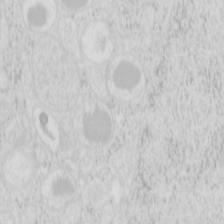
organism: Mouse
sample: Pancreas